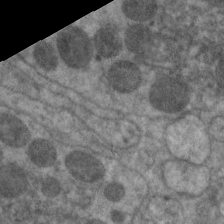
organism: C. elegans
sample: Pharynx